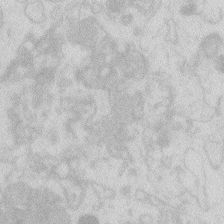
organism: Zebrafish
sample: Macrophage